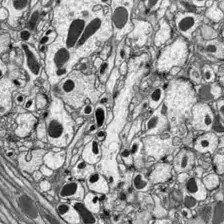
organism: Drosophila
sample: Optic lobe